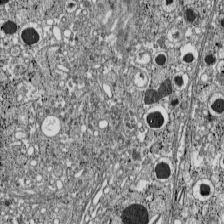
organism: C57BL Mouse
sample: Pancreatic islet